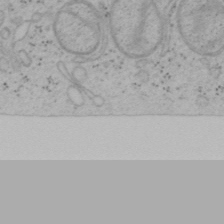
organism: Human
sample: HeLa cells